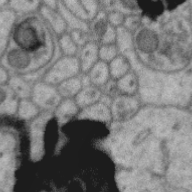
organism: Zebra finch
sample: Brain